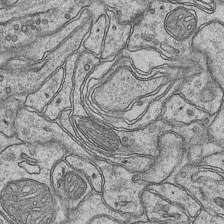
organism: Mouse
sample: CA1 Hippocampus